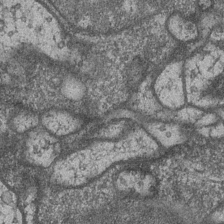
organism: Drosophila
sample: Optic medulla